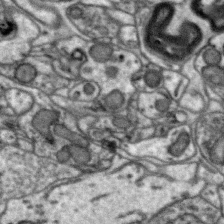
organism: Zebra finch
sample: Brain